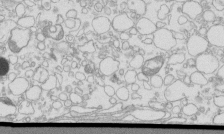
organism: Mouse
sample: Macrophages